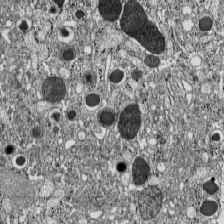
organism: C57BL Mouse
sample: Pancreatic islet